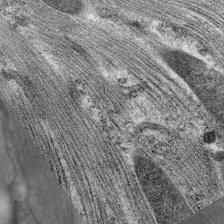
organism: C. elegans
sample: Pharynx